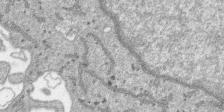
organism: Human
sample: Lung epithelial cells infected with SARS-CoV-2